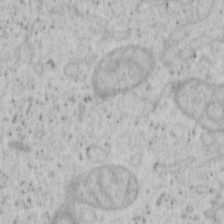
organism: Human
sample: HeLa cells